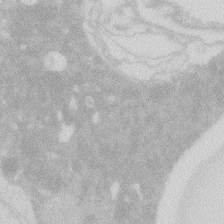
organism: Zebrafish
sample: Macrophage